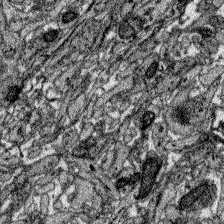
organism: Zebrafish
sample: Larval olfactory bulb